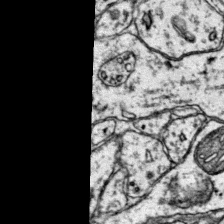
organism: Mouse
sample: Primary visual cortex